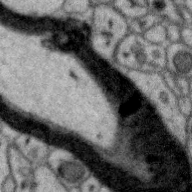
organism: Zebra finch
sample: Brain